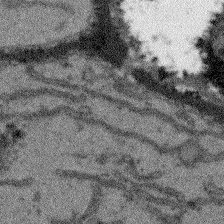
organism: Arabidopsis thaliana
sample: Root tip